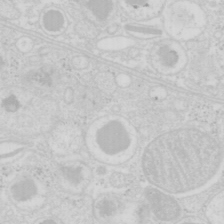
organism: Mouse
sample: Pancreas